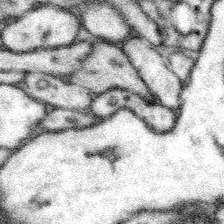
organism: Mouse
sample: Somatosensory cortex neuropil